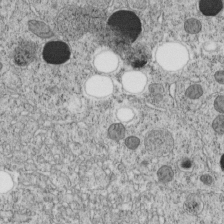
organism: C. elegans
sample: C. elegans embryo early stage